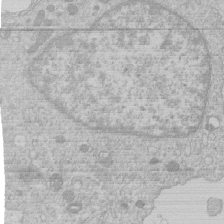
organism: Human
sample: Macrophage cells